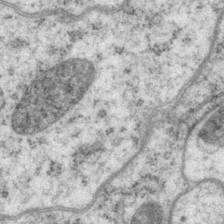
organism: P. pacificus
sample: Pharynx